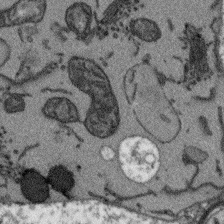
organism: Arabidopsis thaliana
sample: Root tip